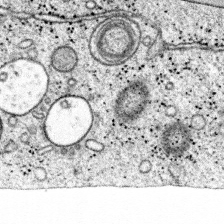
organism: Human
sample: HeLa cells